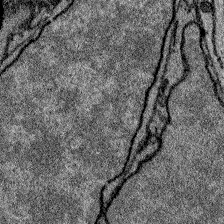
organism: Zebrafish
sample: Larval olfactory bulb